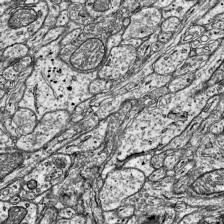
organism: Mouse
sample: Visual Cortex